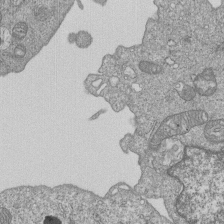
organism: Human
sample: MDA-MB-231 cells